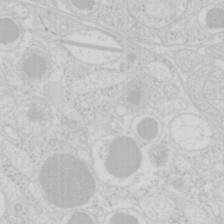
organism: Mouse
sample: Pancreas